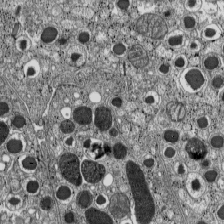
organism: C57BL Mouse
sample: Pancreatic islet